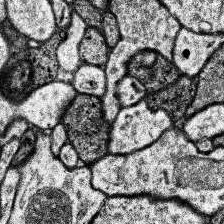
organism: Human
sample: Temporal Lobe